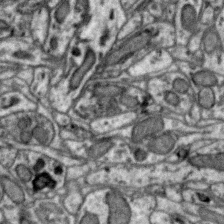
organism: Zebra finch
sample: Brain